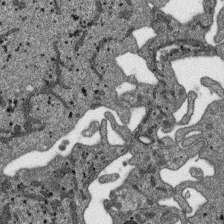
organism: Human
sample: Lung epithelial cells infected with SARS-CoV-2